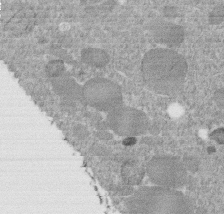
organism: C. elegans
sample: C. elegans embryo early stage